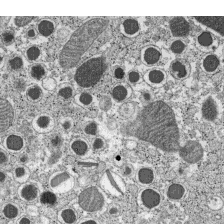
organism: C57BL Mouse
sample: Pancreatic islet